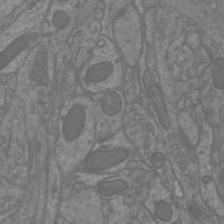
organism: Mouse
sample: Cortical neurons